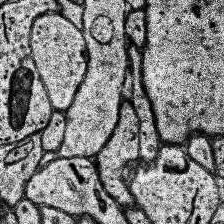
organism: Human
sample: Temporal Lobe